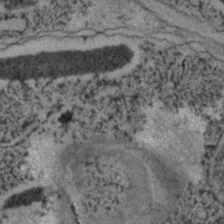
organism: C. elegans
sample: C. elegans embryo